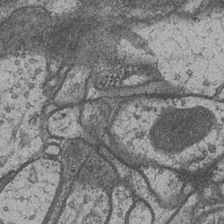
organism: Drosophila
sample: Optic medulla